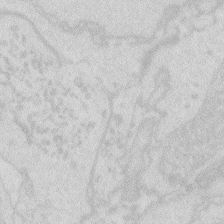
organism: Zebrafish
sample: Macrophage